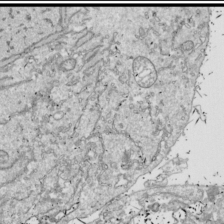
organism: Drosophila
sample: Cell division; meiosis; drosophila spermatocytes